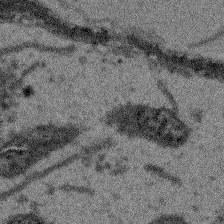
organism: Arabidopsis thaliana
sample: Root tip